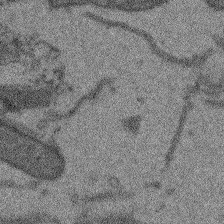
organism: Arabidopsis thaliana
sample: Root tip